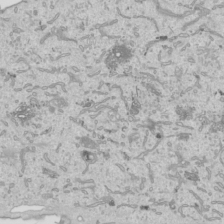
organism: Human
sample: Mitochondria in HCT116 cells